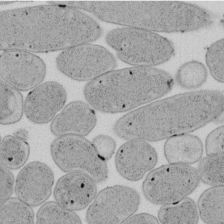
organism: E. coli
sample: Bacterial nucleoid